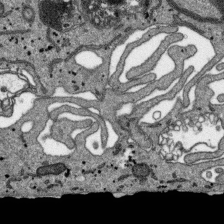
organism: Human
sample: Lung epithelial cells, uninfected (mock) control